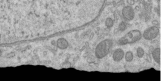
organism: Human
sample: Centriole in RPE cells